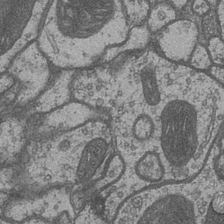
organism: Drosophila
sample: Optic medulla